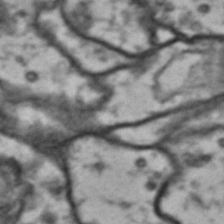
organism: Drosophila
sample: Brain